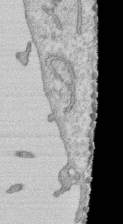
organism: Human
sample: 1205lu cells